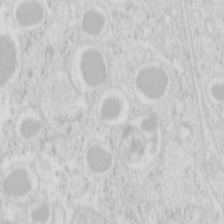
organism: Mouse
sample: Pancreas